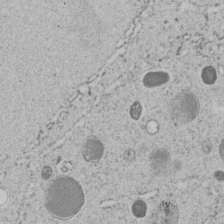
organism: C. elegans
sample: C. elegans embryo early stage